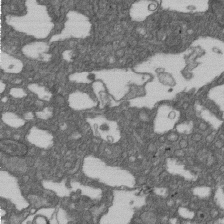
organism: Drosophila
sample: Nephrocyte